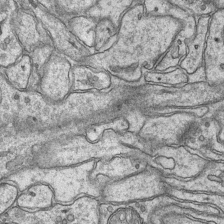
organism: Mouse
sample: CA1 Hippocampus